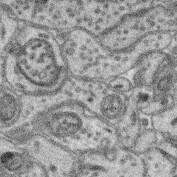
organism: Mouse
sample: Retina